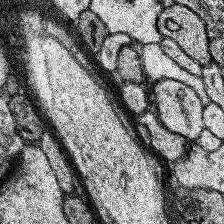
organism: Human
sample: Temporal Lobe